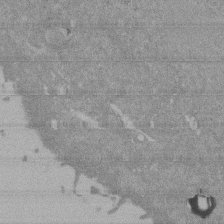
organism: Mouse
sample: ED-1 cell nuclei; centrioles